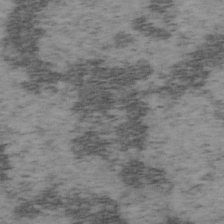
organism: Mouse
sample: OT-I killer T cells with ID8 ovarian cancer cells